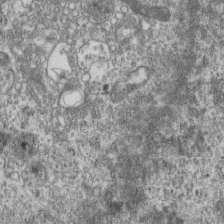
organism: Mouse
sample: Centriole in ependymal cells